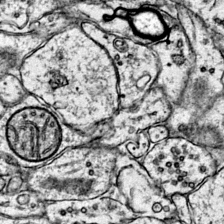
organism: Mouse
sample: Primary visual cortex